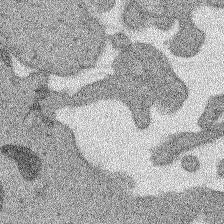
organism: Human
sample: HeLa cells